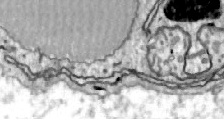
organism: Zebrafish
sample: Actinotrichia fibers